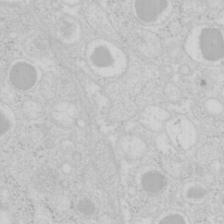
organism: Mouse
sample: Pancreas